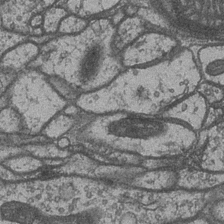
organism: Drosophila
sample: Optic medulla